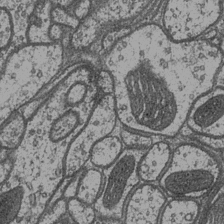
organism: Drosophila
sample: Optic medulla